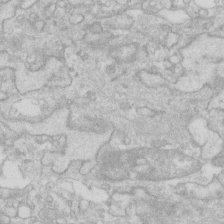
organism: Human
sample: Fibroblast cells